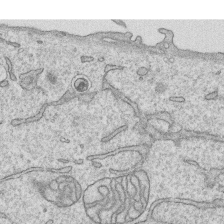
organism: Human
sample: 1205lu cells